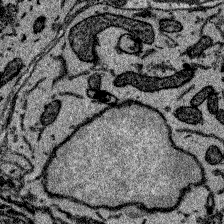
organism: Zebrafish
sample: Larval olfactory bulb